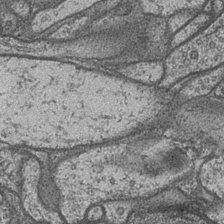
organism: Drosophila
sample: Optic medulla